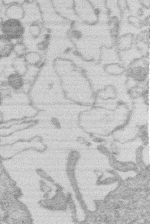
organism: Human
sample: Macrophage cells